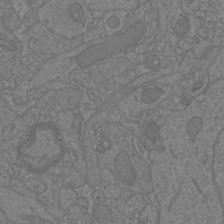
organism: Mouse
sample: Cortical neurons